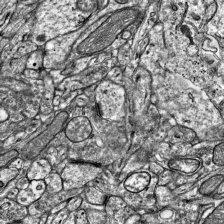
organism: Mouse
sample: Visual Cortex